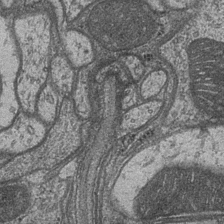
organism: Drosophila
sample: Optic medulla